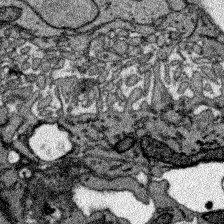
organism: Zebrafish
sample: Larval olfactory bulb